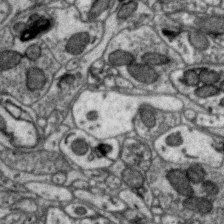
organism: Zebra finch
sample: Brain